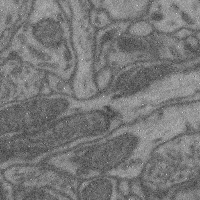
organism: Mouse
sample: Cerebral cortex